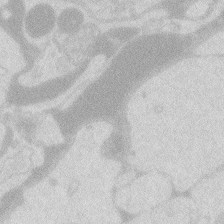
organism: Zebrafish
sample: Macrophage